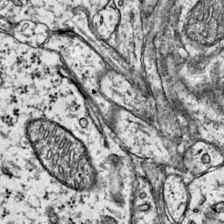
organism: Mouse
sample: Primary visual cortex